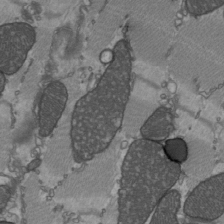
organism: C57BL Mouse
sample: Heart